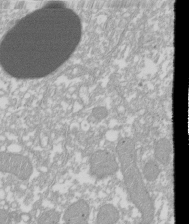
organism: Xenopus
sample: Cilia; centrioles in frog embryo cells